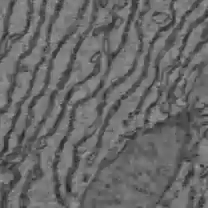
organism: C57BL Mouse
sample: Liver